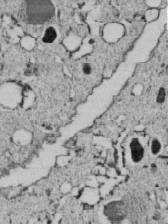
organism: C. elegans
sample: C. elegans embryo early stage